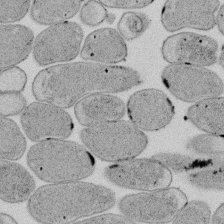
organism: E. coli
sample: Bacterial nucleoid